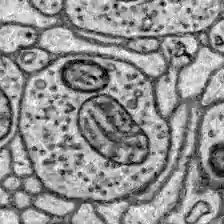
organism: Zebrafish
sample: Brain